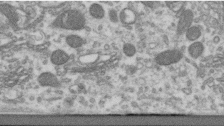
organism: Human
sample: Centriole in RPE cells